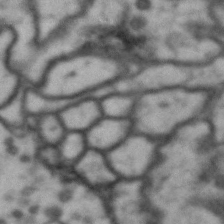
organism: Drosophila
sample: Brain